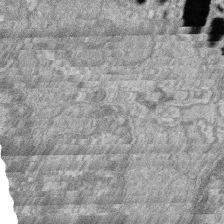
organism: Zebrafish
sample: Cilia; retinal pigment epithelium